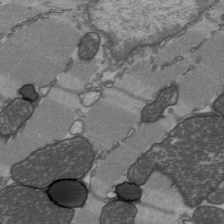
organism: C57BL Mouse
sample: Heart